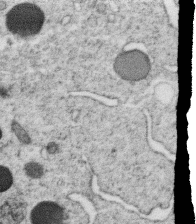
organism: C. elegans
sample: C. elegans oocyte; sperm cells